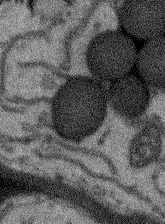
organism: Arabidopsis thaliana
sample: Root tip